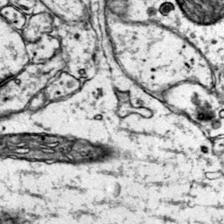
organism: Mouse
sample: Primary visual cortex